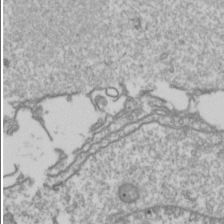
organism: Drosophila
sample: Cell division; meiosis; drosophila spermatocytes